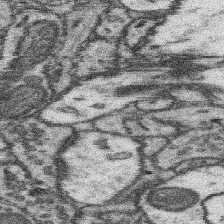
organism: Mouse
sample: Somatosensory cortex neuropil